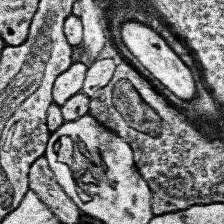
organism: Human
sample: Temporal Lobe